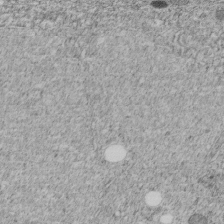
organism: C. elegans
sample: C. elegans embryo early stage